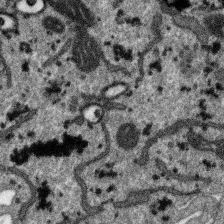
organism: Human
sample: Lung epithelial cells infected with SARS-CoV-2